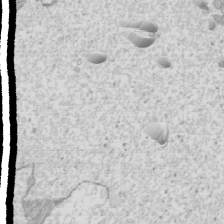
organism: Mouse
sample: Cilia; mouse epididymis